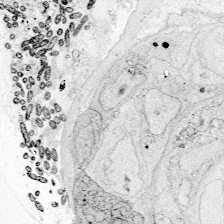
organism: Zebrafish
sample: Whole-Brain